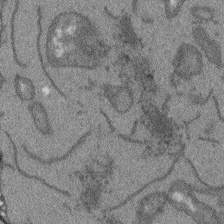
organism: Arabidopsis thaliana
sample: Root tip